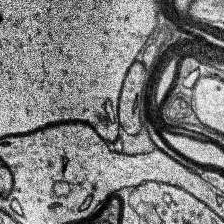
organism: Human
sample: Temporal Lobe